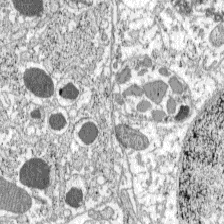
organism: C57BL Mouse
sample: Pancreatic islet